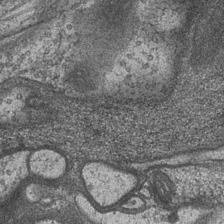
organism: Drosophila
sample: Optic medulla